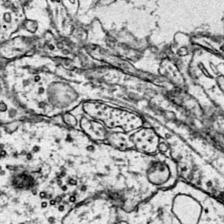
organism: Mouse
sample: Primary visual cortex